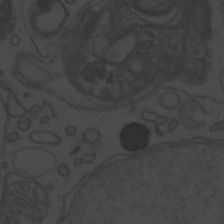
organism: Zebrafish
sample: Macrophage infected with Toxoplasma gondii